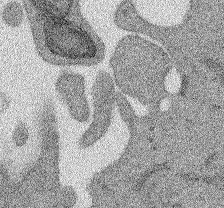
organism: Human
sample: HeLa cells